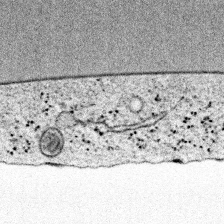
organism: Human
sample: HeLa cells